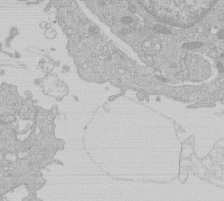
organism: Human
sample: Macrophage cells